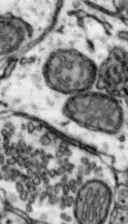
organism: Mouse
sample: Nucleus accumbens